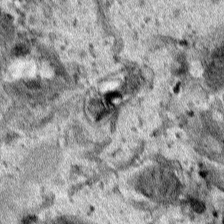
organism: Human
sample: Mitochondria in HCT116 cells